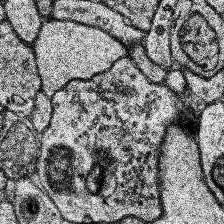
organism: Human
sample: Temporal Lobe